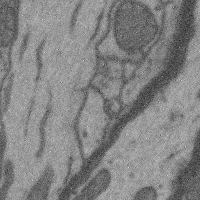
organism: Mouse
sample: Cerebral cortex